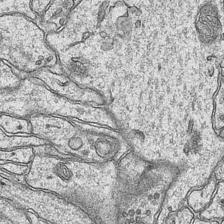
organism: Mouse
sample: CA1 Hippocampus